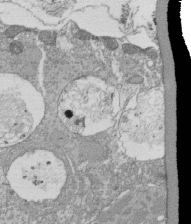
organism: Tetrahymena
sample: Cilia in tetrahymena